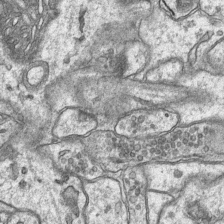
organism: Mouse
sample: CA1 Hippocampus